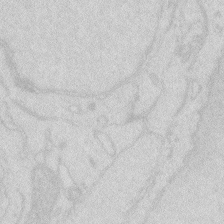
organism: Zebrafish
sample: Macrophage